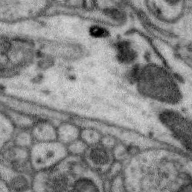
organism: Zebra finch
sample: Brain